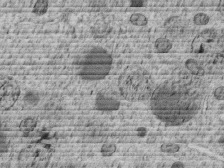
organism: C. elegans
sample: C. elegans embryo early stage